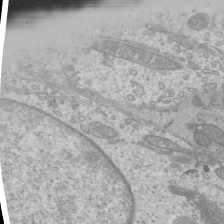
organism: Mouse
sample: Cilia; mouse epididymis